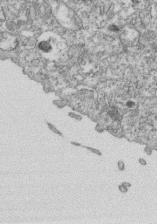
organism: Human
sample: HeLa cell HIV synapse